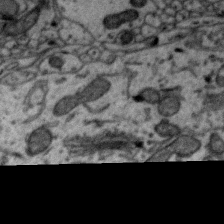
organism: Zebra finch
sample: Brain